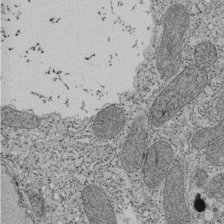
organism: Tetrahymena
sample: Cilia in tetrahymena